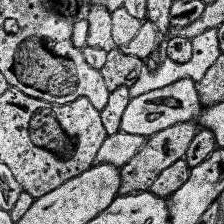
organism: Human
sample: Temporal Lobe